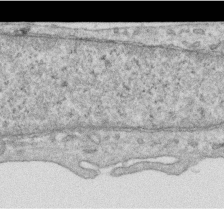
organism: Human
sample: Centriole in RPE cells